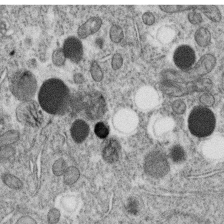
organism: C. elegans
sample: C. elegans oocyte; sperm cells